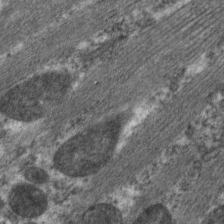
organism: C. elegans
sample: Pharynx